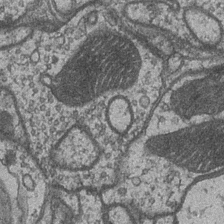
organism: Drosophila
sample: Optic medulla